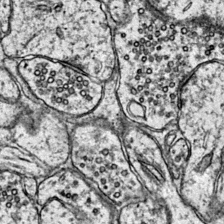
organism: Mouse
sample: Primary visual cortex